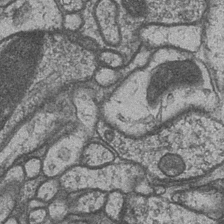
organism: Drosophila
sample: Optic medulla